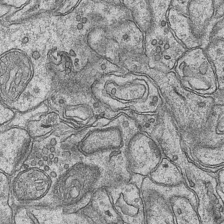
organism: Mouse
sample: CA1 Hippocampus